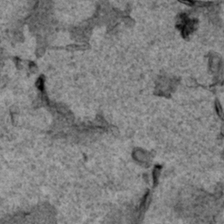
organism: Human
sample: Mitochondria in HCT116 cells